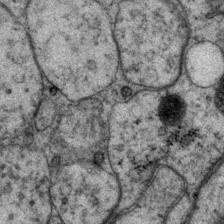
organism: P. pacificus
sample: Pharynx